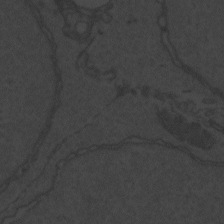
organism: Zebrafish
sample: Macrophage infected with Toxoplasma gondii